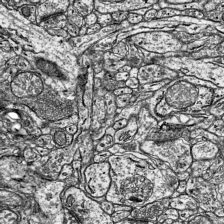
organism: Mouse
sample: Visual Cortex